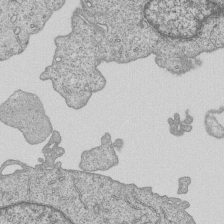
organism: Human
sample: MDA-MB-231 cells